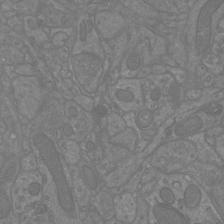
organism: Mouse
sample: Cortical neurons